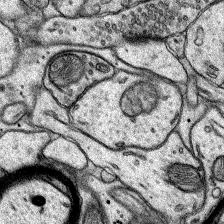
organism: Rat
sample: Hippocampus